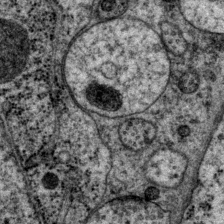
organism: P. pacificus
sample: Pharynx